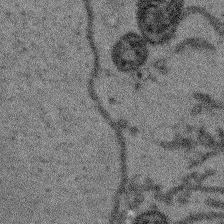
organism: Arabidopsis thaliana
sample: Root tip